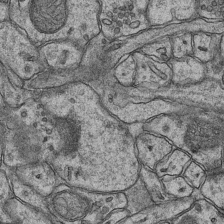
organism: Mouse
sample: CA1 Hippocampus